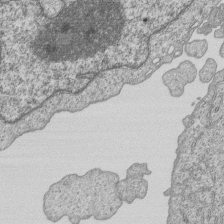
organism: Human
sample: MDA-MB-231 cells